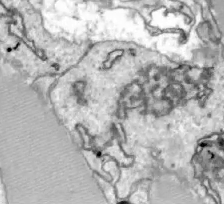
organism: Zebrafish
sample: Actinotrichia fibers